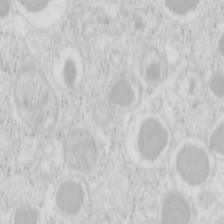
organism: Mouse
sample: Pancreas